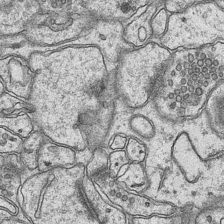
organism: Mouse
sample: CA1 Hippocampus